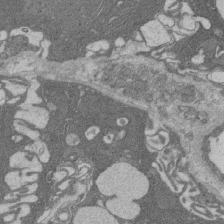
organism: Rat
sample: Salivary granule